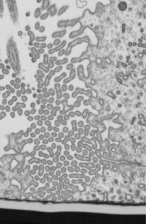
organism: Mouse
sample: Mouse epididymis efferent ductule cilia